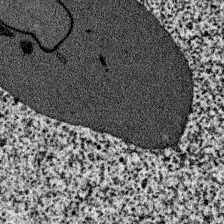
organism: Zebrafish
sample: Larval olfactory bulb